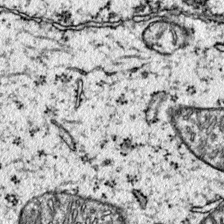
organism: Mouse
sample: Primary visual cortex